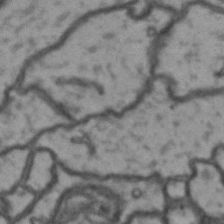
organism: Drosophila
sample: Brain